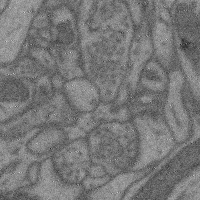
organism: Mouse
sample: Cerebral cortex